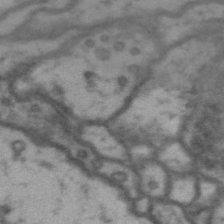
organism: Drosophila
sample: Brain